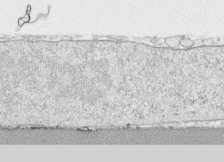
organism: Human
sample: CRL-1474